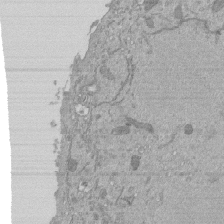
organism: Mouse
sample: ED-1 cell nuclei; centrioles